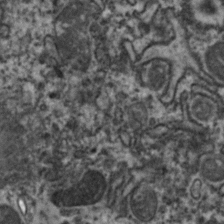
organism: Zebrafish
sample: Zebrafish embryo